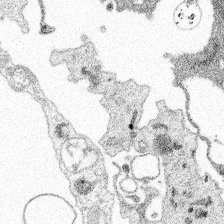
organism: Spongilla lacustris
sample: Multiple